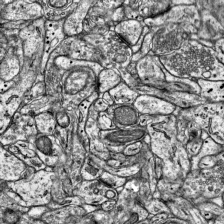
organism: Mouse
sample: Visual Cortex